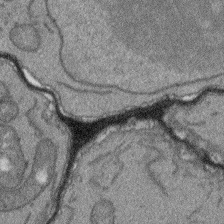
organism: Arabidopsis thaliana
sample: Root tip